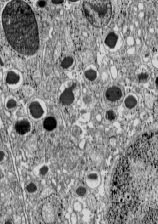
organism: C57BL Mouse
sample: Pancreatic islet